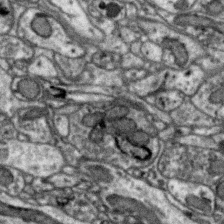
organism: Zebra finch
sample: Brain